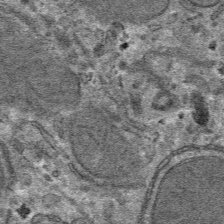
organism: Mouse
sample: Mouse hepatocytes